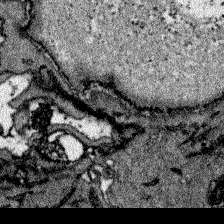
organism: Zebrafish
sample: Larval olfactory bulb